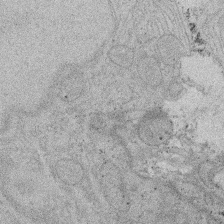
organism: Rat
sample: Salivary granule